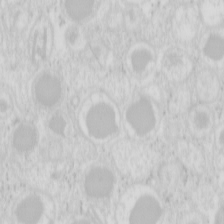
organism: Mouse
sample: Pancreas